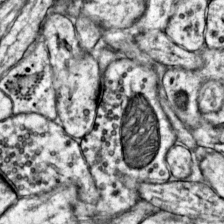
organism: Mouse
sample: Primary visual cortex